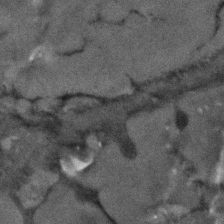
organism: Human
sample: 1205lu cells